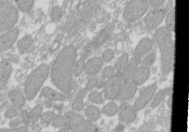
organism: Xenopus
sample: Cilia; centrioles in frog embryo cells